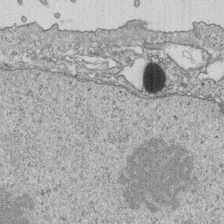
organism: Human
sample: HeLa cell HIV synapse